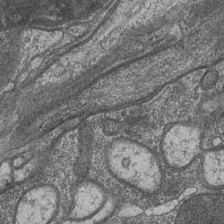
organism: Drosophila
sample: Optic medulla